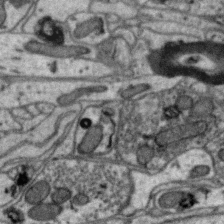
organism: Zebra finch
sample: Brain